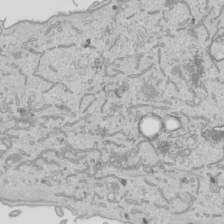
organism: Human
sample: Mitochondria in HCT116 cells